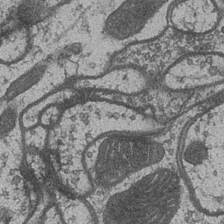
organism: Drosophila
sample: Optic medulla